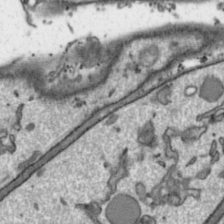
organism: Toxoplasma gondii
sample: Parasites in a vacuole inside a host cell